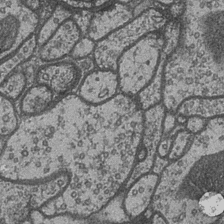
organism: Drosophila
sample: Optic medulla